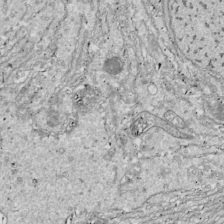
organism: Drosophila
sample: Cell division; meiosis; drosophila spermatocytes